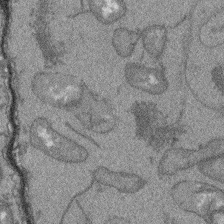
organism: Arabidopsis thaliana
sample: Root tip